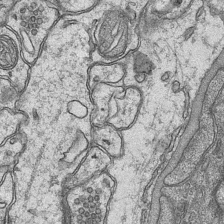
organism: Mouse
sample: CA1 Hippocampus